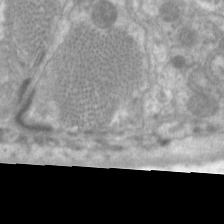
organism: C. elegans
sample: Pharynx